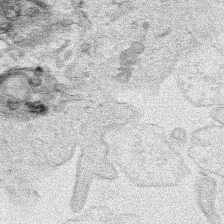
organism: Human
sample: Mitochondria in HCT116 cells